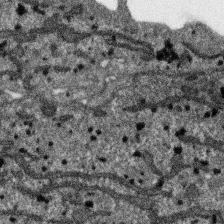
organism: Human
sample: Lung epithelial cells infected with SARS-CoV-2